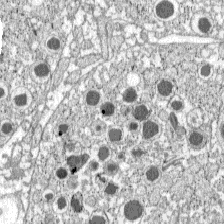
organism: C57BL Mouse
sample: Pancreatic islet